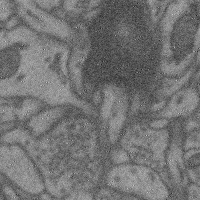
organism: Mouse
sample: Cerebral cortex